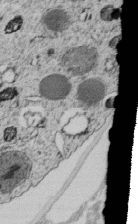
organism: C. elegans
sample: C. elegans embryo early stage